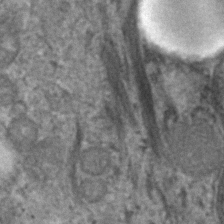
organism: Human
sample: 1205lu cells